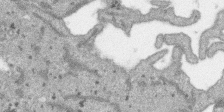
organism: Human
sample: Lung epithelial cells infected with SARS-CoV-2